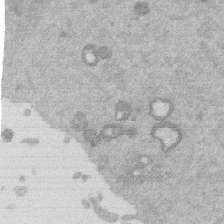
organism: Mouse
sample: Dividing mouse embryo 1 cell stage